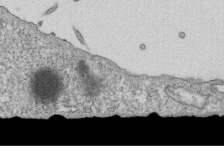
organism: Human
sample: HeLa cell HIV synapse